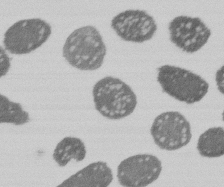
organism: E. coli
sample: Bacterial nucleoid